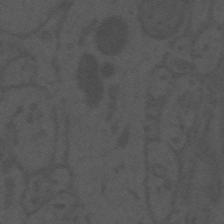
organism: Mouse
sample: Suprachiasmatic nucleus